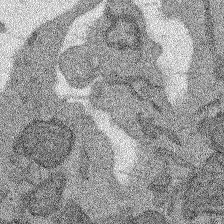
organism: Human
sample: HeLa cells